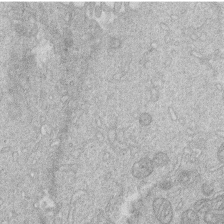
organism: Human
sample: Macrophage cells